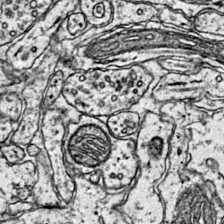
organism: Mouse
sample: Primary visual cortex